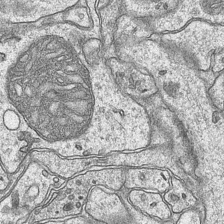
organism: Mouse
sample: CA1 Hippocampus